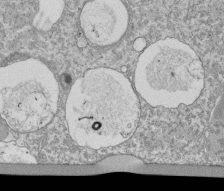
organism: Tetrahymena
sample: Cilia in tetrahymena